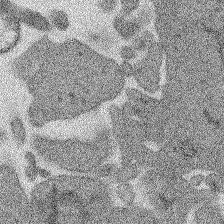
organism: Human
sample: HeLa cells